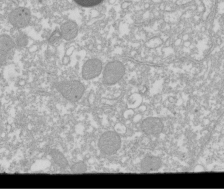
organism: Xenopus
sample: Cilia; centrioles in frog embryo cells